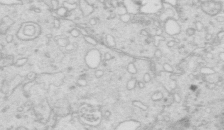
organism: Mouse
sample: Multiciliated cells